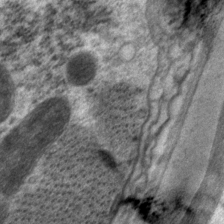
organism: P. pacificus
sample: Pharynx